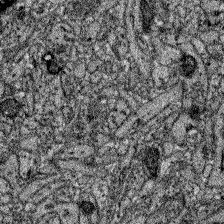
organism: Zebrafish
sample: Larval olfactory bulb